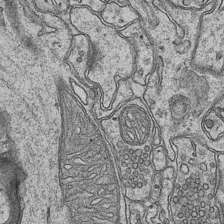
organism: Mouse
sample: CA1 Hippocampus